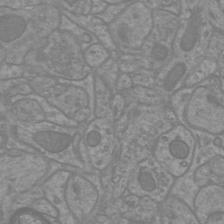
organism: Mouse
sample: Cortical neurons